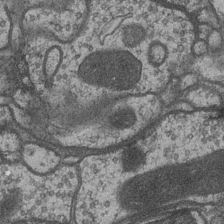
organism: Drosophila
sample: Optic medulla